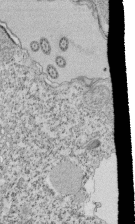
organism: Tetrahymena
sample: Cilia in tetrahymena